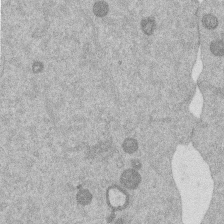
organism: Mouse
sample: Dividing mouse embryo 1 cell stage